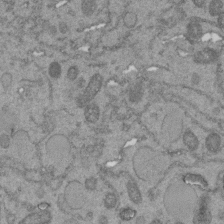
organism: C. elegans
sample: C. elegans embryo early stage